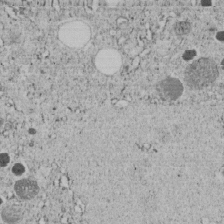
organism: C. elegans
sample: C. elegans embryo early stage